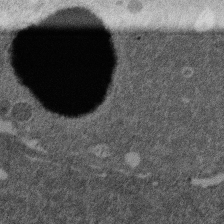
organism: Mouse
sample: Dividing mouse embryo 1 cell stage